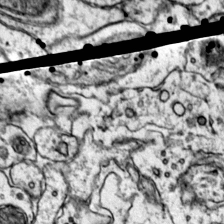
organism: Mouse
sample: Primary visual cortex